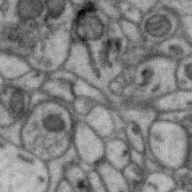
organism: Zebra finch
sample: Brain